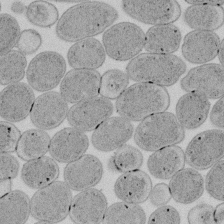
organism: E. coli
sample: Bacterial nucleoid